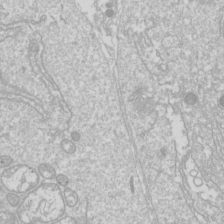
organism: Drosophila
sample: Cell division; meiosis; drosophila spermatocytes